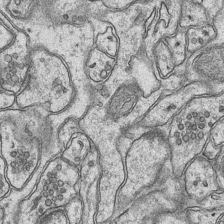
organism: Mouse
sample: CA1 Hippocampus